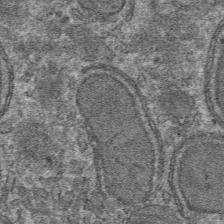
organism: Mouse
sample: Mouse hepatocytes